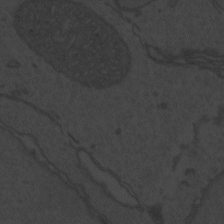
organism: Zebrafish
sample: Macrophage infected with Toxoplasma gondii